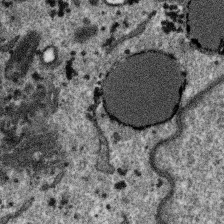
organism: Human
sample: Lung epithelial cells infected with SARS-CoV-2